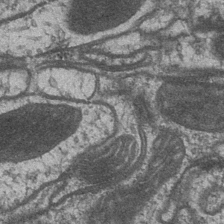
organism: Drosophila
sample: Optic medulla